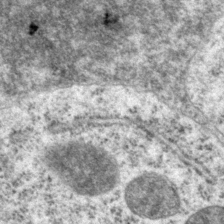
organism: P. pacificus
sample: Pharynx